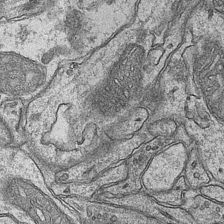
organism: Mouse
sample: CA1 Hippocampus